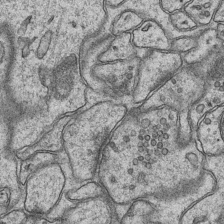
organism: Mouse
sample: CA1 Hippocampus